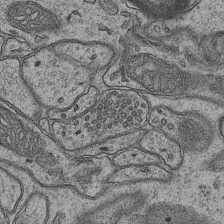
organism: Mouse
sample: CA1 Hippocampus